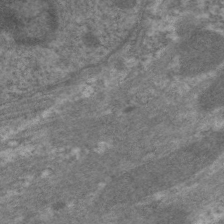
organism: C. elegans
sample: Pharynx